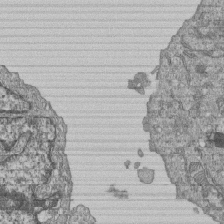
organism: Human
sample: MDA-MB-231 cells